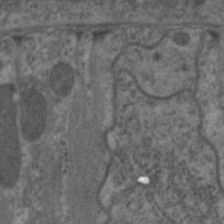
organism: C. elegans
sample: Pharynx